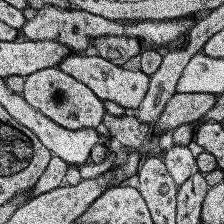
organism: Human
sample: Temporal Lobe